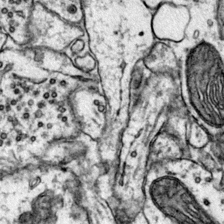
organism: Mouse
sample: Primary visual cortex